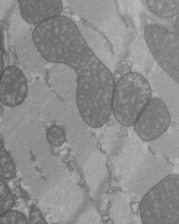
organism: C57BL Mouse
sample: Heart